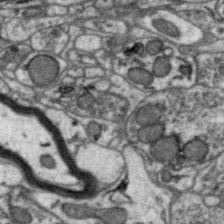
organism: Zebra finch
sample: Brain